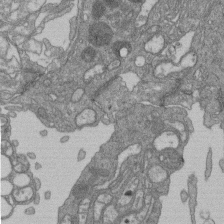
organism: Human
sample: Retinal organoid Rod and Cone cells